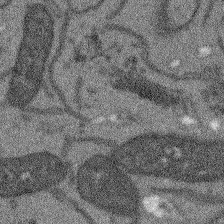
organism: Arabidopsis thaliana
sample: Root tip